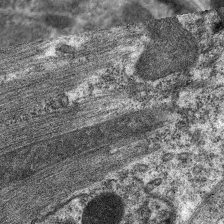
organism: C. elegans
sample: Pharynx